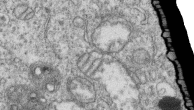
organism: Human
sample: HeLa cell HIV synapse